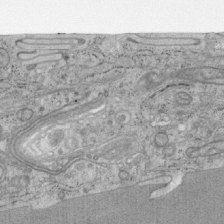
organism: Human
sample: HeLa cells